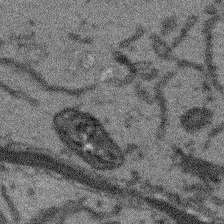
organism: Arabidopsis thaliana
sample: Root tip